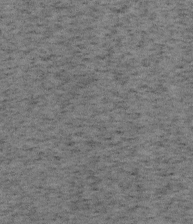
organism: Mouse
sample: OT-I killer T cells with ID8 ovarian cancer cells